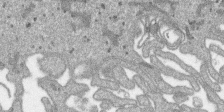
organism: Human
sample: Lung epithelial cells infected with SARS-CoV-2